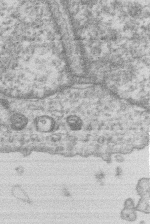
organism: Human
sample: Macrophage cells